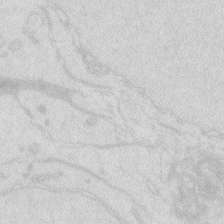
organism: Zebrafish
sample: Macrophage